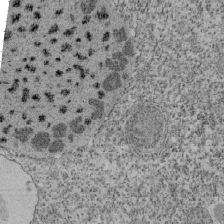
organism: Tetrahymena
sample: Cilia in tetrahymena